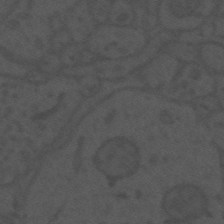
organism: Mouse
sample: Suprachiasmatic nucleus